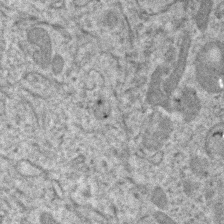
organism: Human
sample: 1205lu cells